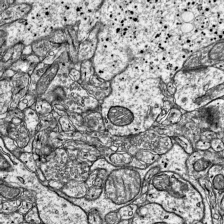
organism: Mouse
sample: Visual Cortex